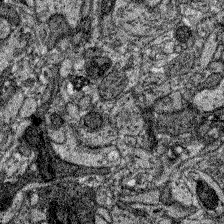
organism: Zebrafish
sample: Larval olfactory bulb